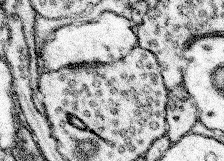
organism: Mouse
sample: Somatosensory cortex neuropil